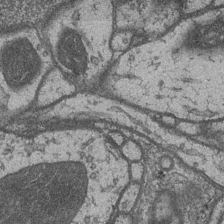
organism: Drosophila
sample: Optic medulla